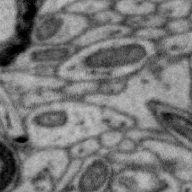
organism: Zebra finch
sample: Brain